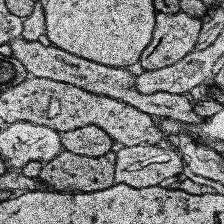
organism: Human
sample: Temporal Lobe